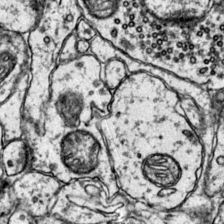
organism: Mouse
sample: Primary visual cortex